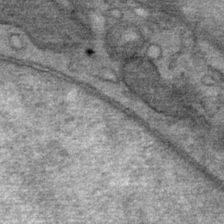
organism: Mouse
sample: Mouse Salivary gland